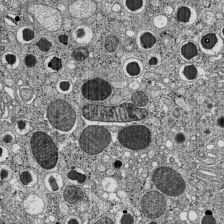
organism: C57BL Mouse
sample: Pancreatic islet